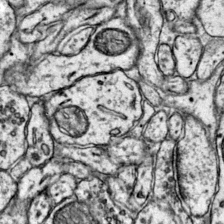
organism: Mouse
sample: Primary visual cortex